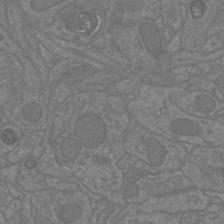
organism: Mouse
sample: Cortical neurons